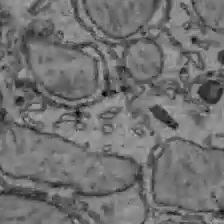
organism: C57BL Mouse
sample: Liver